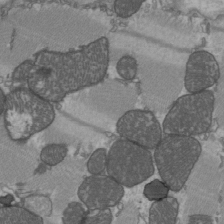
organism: C57BL Mouse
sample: Heart